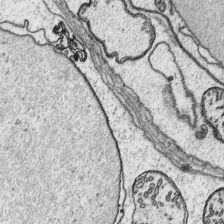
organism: Platynereis dumerilii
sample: Parapodia